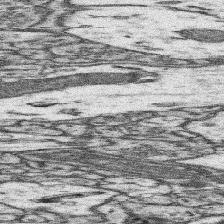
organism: Mouse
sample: Somatosensory cortex neuropil